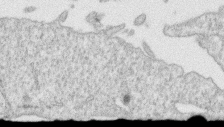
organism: Human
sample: HeLa cell HIV synapse